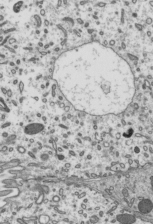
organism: Mouse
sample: Mouse epididymis efferent ductule cilia